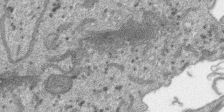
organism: Human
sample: Lung epithelial cells infected with SARS-CoV-2